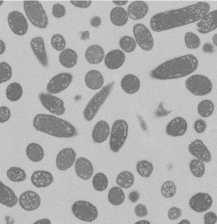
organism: E. coli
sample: Bacterial nucleoid